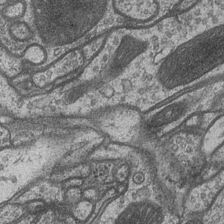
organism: Drosophila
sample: Optic medulla